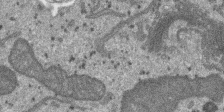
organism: Human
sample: Lung epithelial cells infected with SARS-CoV-2